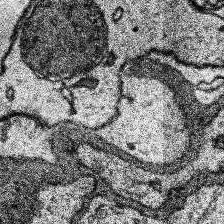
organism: Human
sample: Temporal Lobe